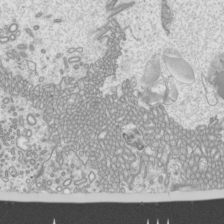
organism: Mouse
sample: Cilia; mouse epididymis